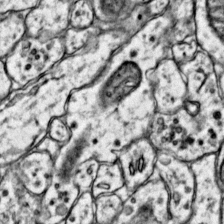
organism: Mouse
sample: Primary visual cortex